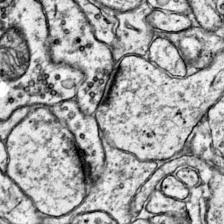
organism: Mouse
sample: Primary visual cortex